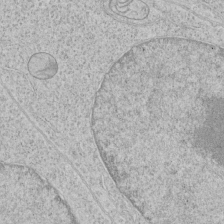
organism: Human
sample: Mitochondria in HCT116 cells